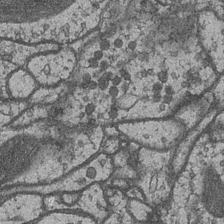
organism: Drosophila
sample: Optic medulla